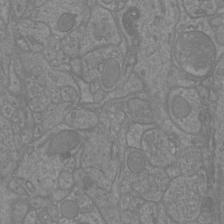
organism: Mouse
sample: Cortical neurons